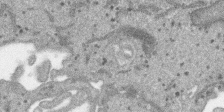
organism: Human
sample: Lung epithelial cells infected with SARS-CoV-2